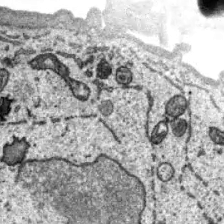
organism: Human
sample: HeLa cells